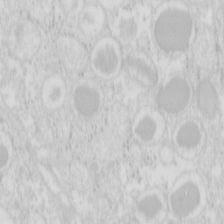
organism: Mouse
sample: Pancreas